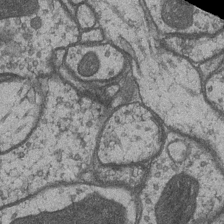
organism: Drosophila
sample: Optic medulla